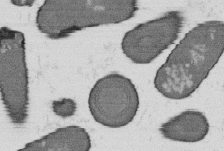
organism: B. subtilis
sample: Bacterial spore